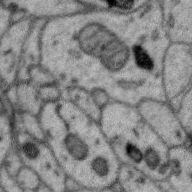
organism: Zebra finch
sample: Brain